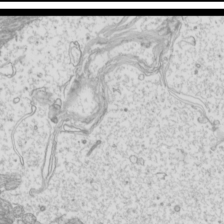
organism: Mouse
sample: Cilia; mouse epididymis